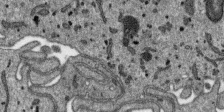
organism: Human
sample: Lung epithelial cells, uninfected (mock) control